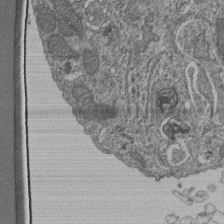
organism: Human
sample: Retinal organoid Rod and Cone cells